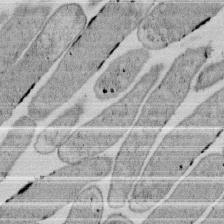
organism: E. coli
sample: Bacterial nucleoid